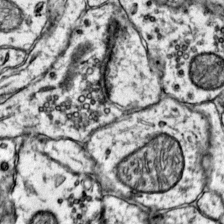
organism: Mouse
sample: Primary visual cortex